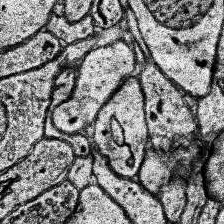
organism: Human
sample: Temporal Lobe